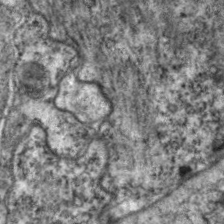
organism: C. elegans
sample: Pharynx